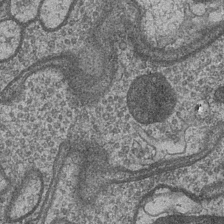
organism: Drosophila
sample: Optic medulla